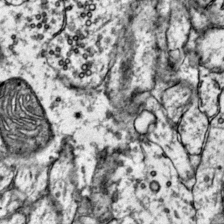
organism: Mouse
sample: Primary visual cortex